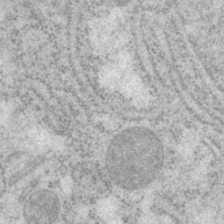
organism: P. pacificus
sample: Pharynx